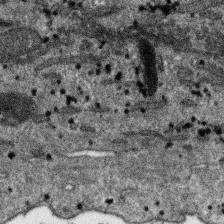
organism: Human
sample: Lung epithelial cells infected with SARS-CoV-2